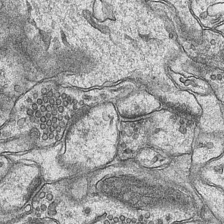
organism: Mouse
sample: CA1 Hippocampus